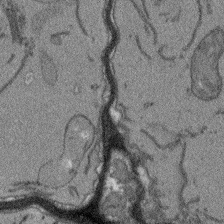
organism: Arabidopsis thaliana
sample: Root tip